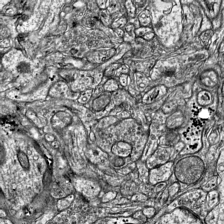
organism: Mouse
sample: Visual Cortex